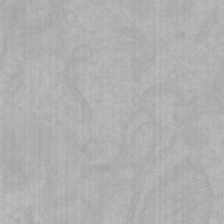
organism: Mouse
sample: Choroid plexus